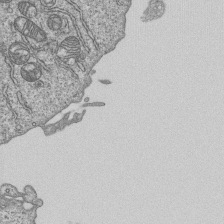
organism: Human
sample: MDA-MB-231 cells